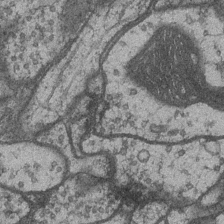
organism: Drosophila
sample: Optic medulla